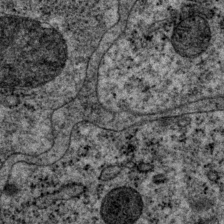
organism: P. pacificus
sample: Pharynx